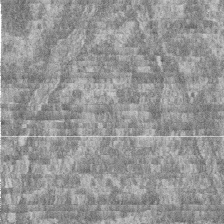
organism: Zebrafish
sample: Cilia; retinal pigment epithelium